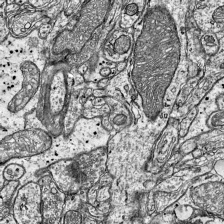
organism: Mouse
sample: Visual Cortex